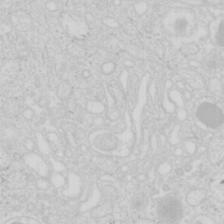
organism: Mouse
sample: Pancreas